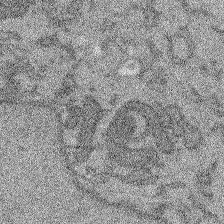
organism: Human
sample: HeLa cells